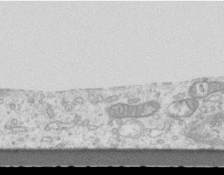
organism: Mouse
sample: Centriole in ependymal cells